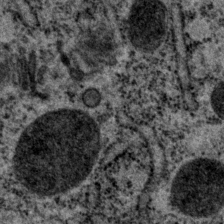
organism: P. pacificus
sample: Pharynx